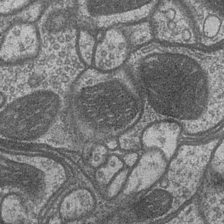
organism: Drosophila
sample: Optic medulla